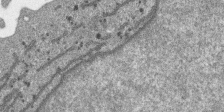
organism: Human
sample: Lung epithelial cells infected with SARS-CoV-2